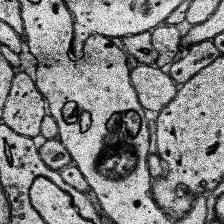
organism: Human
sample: Temporal Lobe